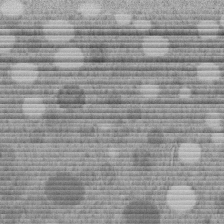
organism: C. elegans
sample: C. elegans embryo early stage